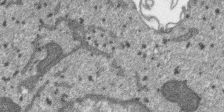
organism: Human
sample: Lung epithelial cells infected with SARS-CoV-2